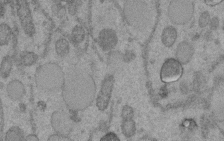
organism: C. elegans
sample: C. elegans embryo early stage